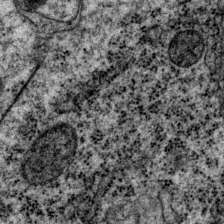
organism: P. pacificus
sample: Pharynx